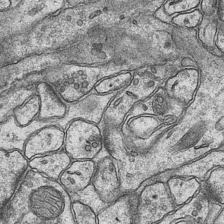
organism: Mouse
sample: CA1 Hippocampus